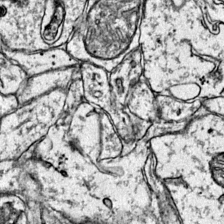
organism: Mouse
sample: Primary visual cortex